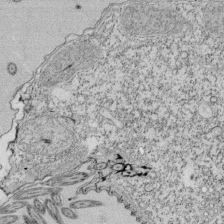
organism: Tetrahymena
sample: Cilia in tetrahymena